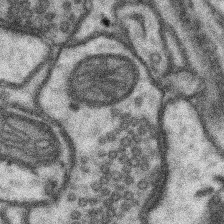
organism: Mouse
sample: Somatosensory cortex neuropil